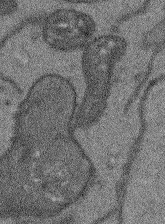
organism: Arabidopsis thaliana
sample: Root tip